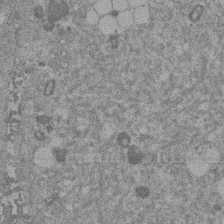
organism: Mouse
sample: Dividing mouse embryo 1 cell stage